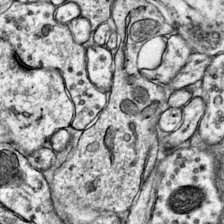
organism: Mouse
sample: Primary visual cortex